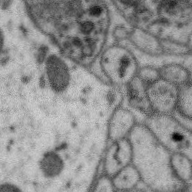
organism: Zebra finch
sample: Brain